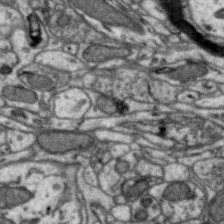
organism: Zebra finch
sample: Brain